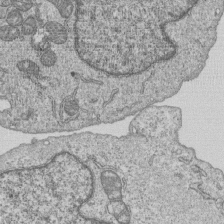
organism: Human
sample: MDA-MB-231 cells